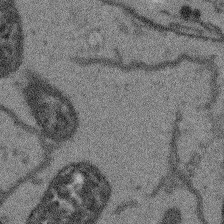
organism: Arabidopsis thaliana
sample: Root tip